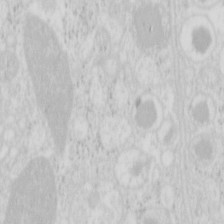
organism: Mouse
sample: Pancreas